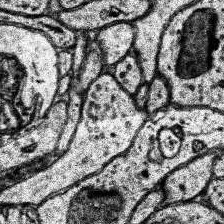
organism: Human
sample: Temporal Lobe